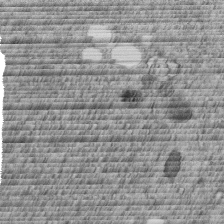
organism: C. elegans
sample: C. elegans embryo early stage